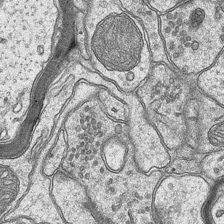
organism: Mouse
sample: CA1 Hippocampus